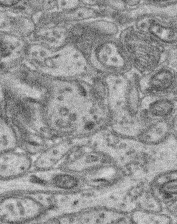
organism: Mouse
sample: Retina